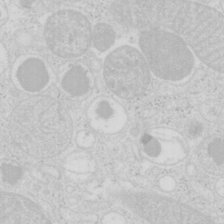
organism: Mouse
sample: Pancreas